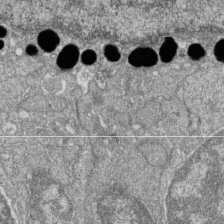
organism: Zebrafish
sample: Cilia; retinal pigment epithelium